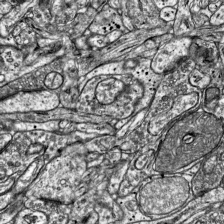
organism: Mouse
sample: Visual Cortex